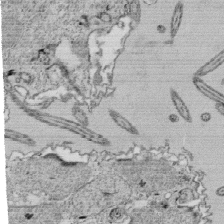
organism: Tetrahymena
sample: Cilia in tetrahymena